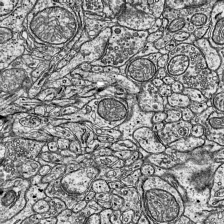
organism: Mouse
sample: Visual Cortex